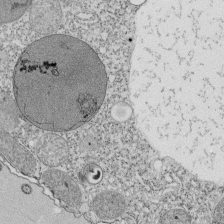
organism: Tetrahymena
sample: Cilia in tetrahymena